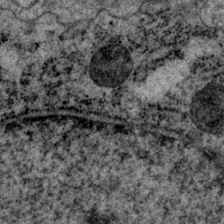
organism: P. pacificus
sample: Pharynx